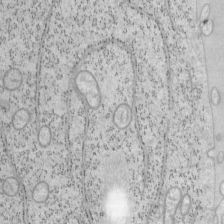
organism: Mouse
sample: OT-I killer T cells with ID8 ovarian cancer cells